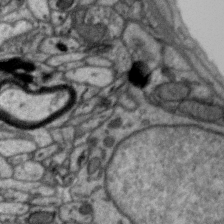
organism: Zebra finch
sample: Brain